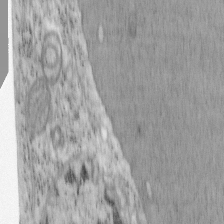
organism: Human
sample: HeLa cells